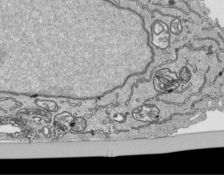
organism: Human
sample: Mitochondria in HCT116 cells